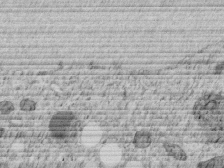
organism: C. elegans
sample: C. elegans embryo early stage